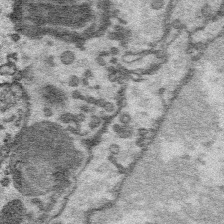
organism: Platynereis dumerilii